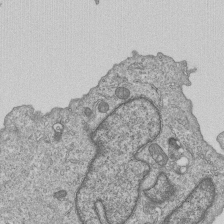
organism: Human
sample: MDA-MB-231 cells